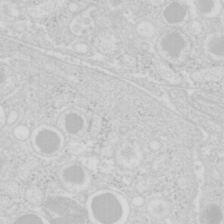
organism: Mouse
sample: Pancreas